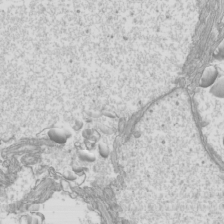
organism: Mouse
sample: Cilia; mouse epididymis